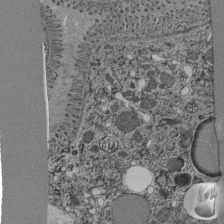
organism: C. elegans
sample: C. elegans pharynx